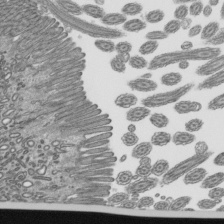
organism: Mouse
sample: Mouse epididymis efferent ductule cilia